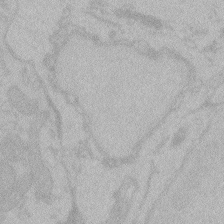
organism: Zebrafish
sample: Macrophage infected with Toxoplasma gondii